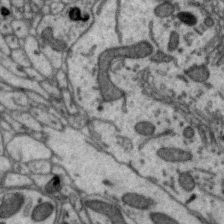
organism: Zebra finch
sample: Brain